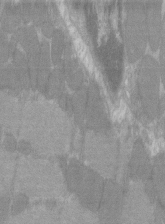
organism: C57BL Mouse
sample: Tibialis anterior muscle cell